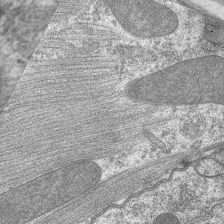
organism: C. elegans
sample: Pharynx